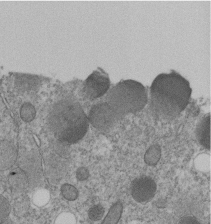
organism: C. elegans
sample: C. elegans embryo early stage